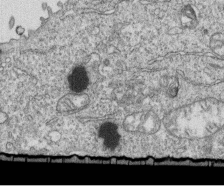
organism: Human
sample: HeLa cell HIV synapse